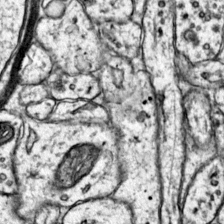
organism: Mouse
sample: Primary visual cortex